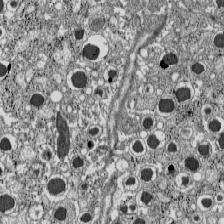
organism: C57BL Mouse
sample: Pancreatic islet